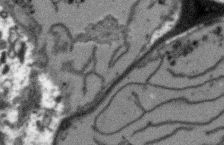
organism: Arabidopsis thaliana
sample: Root tip